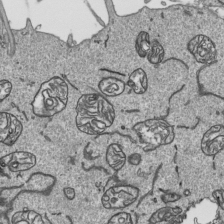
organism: Human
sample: Mitochondria in HCT116 cells